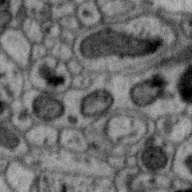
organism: Zebra finch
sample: Brain